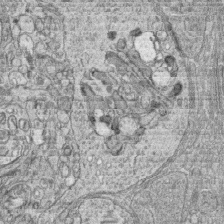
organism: Zebrafish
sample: synaptic ribbons in rod cells and cone cells